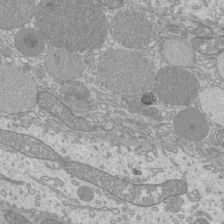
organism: Mouse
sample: Cilia; mouse epididymis